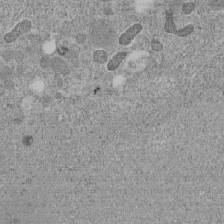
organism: C. elegans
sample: C. elegans embryo early stage